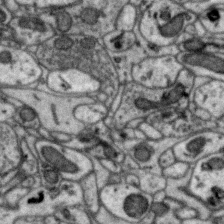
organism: Zebra finch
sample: Brain